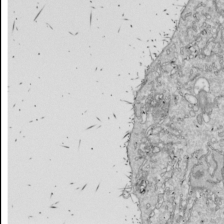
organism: Drosophila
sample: Cell division; meiosis; drosophila spermatocytes